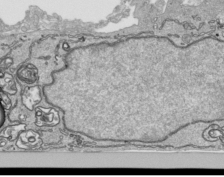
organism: Human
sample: Mitochondria in HCT116 cells